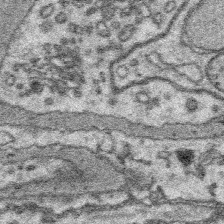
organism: Platynereis dumerilii